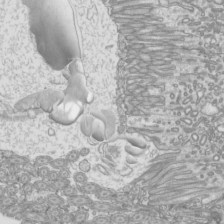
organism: Mouse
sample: Cilia; mouse epididymis